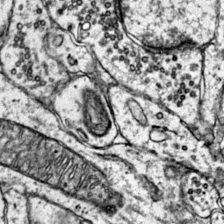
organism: Mouse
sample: Primary visual cortex